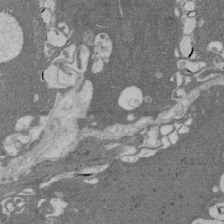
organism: Rat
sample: Salivary granule